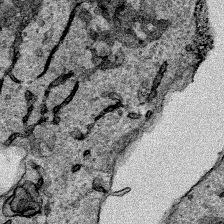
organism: Human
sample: Mitochondria in HCT116 cells